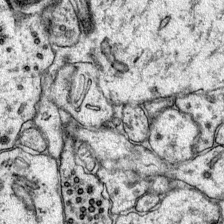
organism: Mouse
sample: Primary visual cortex